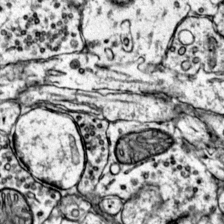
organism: Mouse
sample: Primary visual cortex